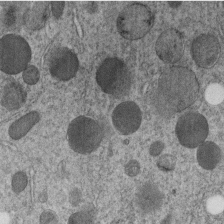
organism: C. elegans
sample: C. elegans embryo early stage